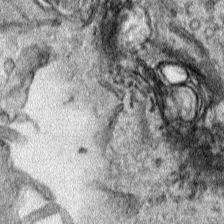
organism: Human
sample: Mitochondria in HCT116 cells